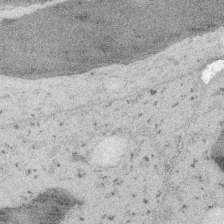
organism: Embia sp.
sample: Silk gland